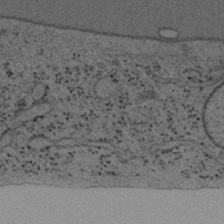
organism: Human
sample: HeLa cells